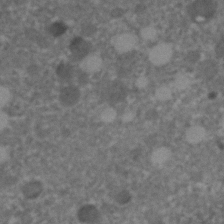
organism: C. elegans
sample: C. elegans embryo